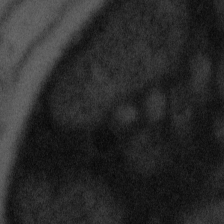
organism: Tuwongella immobilis